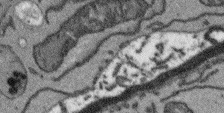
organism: Arabidopsis thaliana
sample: Root tip